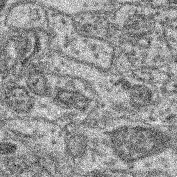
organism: Mouse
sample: Retina